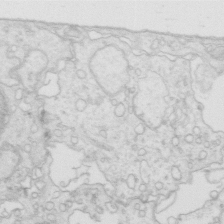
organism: Mouse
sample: Multiciliated cells